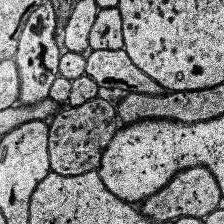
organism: Human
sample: Temporal Lobe